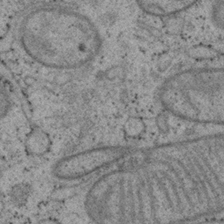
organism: Human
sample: HeLa cells